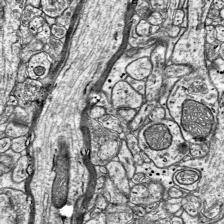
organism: Mouse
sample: Visual Cortex